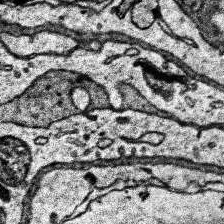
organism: Human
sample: Temporal Lobe